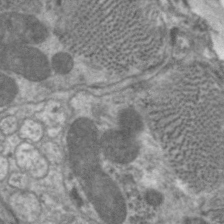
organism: C. elegans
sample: Pharynx